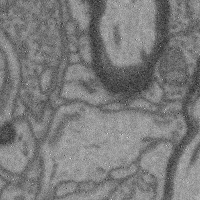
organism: Mouse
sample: Cerebral cortex